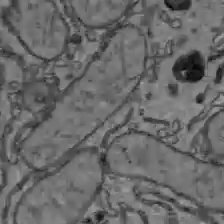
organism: C57BL Mouse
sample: Liver